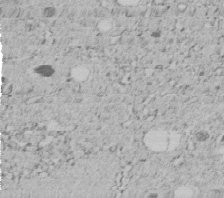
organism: C. elegans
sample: C. elegans embryo early stage